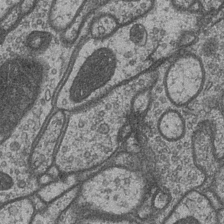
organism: Drosophila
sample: Optic medulla